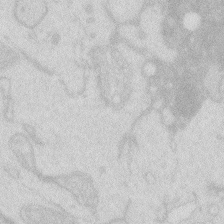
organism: Zebrafish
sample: Macrophage